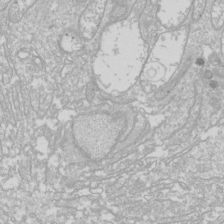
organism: Drosophila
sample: Cell division; meiosis; drosophila spermatocytes